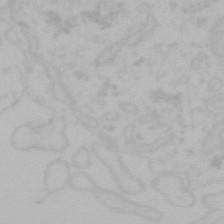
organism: Mouse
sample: Choroid plexus